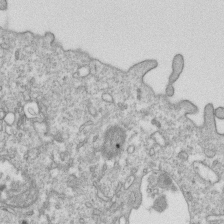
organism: Mouse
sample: Activated OT-1 CD8+ T cells